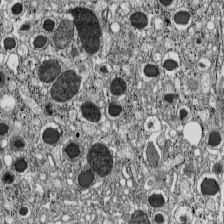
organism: C57BL Mouse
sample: Pancreatic islet